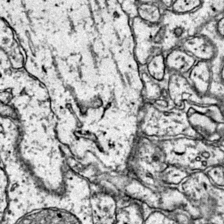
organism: Mouse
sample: Primary visual cortex